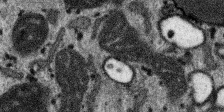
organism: Human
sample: Lung epithelial cells infected with SARS-CoV-2